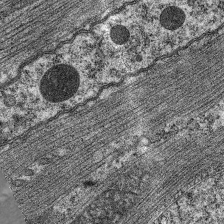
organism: C. elegans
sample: Pharynx